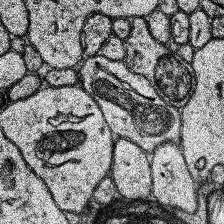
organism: Human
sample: Temporal Lobe